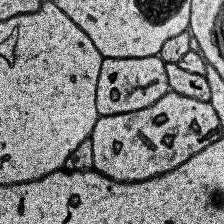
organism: Human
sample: Temporal Lobe